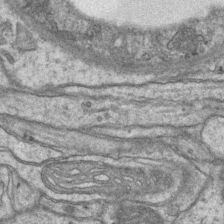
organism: Mouse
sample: CA1 Hippocampus